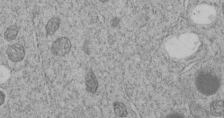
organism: C. elegans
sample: C. elegans embryo early stage